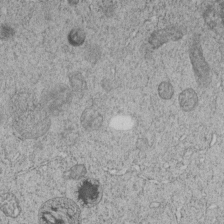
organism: C. elegans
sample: C. elegans embryo early stage